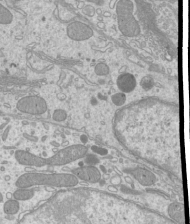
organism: Mouse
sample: Cilia; mouse epididymis